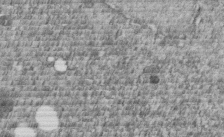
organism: C. elegans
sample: C. elegans embryo early stage